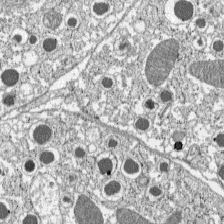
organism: C57BL Mouse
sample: Pancreatic islet